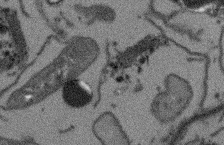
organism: Arabidopsis thaliana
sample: Root tip